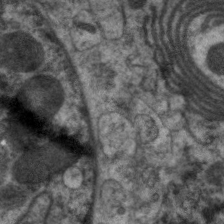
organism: C. elegans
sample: Pharynx